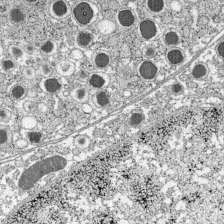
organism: C57BL Mouse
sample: Pancreatic islet